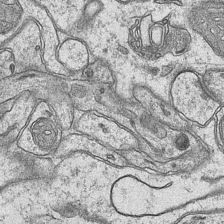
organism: Mouse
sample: CA1 Hippocampus